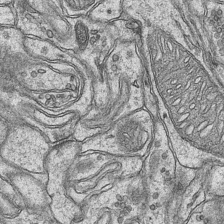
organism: Mouse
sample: CA1 Hippocampus